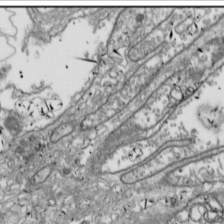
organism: Drosophila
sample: Cell division; meiosis; drosophila spermatocytes